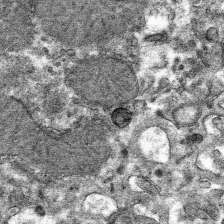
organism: Mouse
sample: Mouse hepatocytes